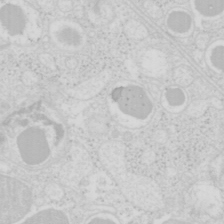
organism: Mouse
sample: Pancreas